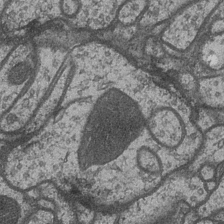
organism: Drosophila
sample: Optic medulla